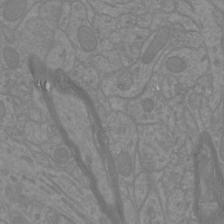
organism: Mouse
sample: Cortical neurons